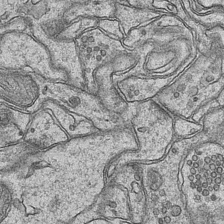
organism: Mouse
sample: CA1 Hippocampus